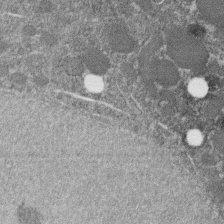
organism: C. elegans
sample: C. elegans embryo early stage